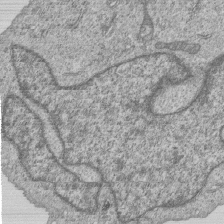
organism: Human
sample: MDA-MB-231 cells